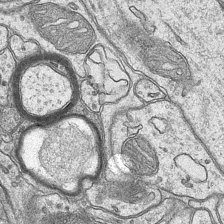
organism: Mouse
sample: CA1 Hippocampus